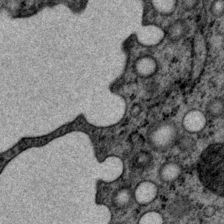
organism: P. pacificus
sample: Pharynx